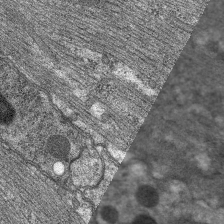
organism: C. elegans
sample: Pharynx